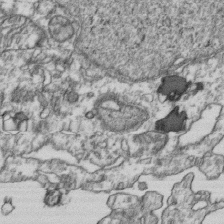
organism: Human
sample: Activated Jurkat CD4+ T cells